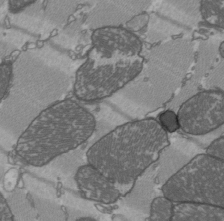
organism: C57BL Mouse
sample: Heart